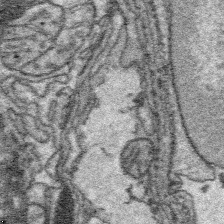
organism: Platynereis dumerilii